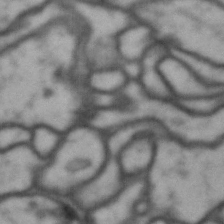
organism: Drosophila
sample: Brain